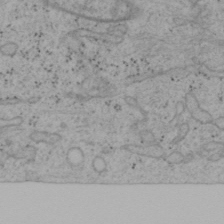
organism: Human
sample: HeLa cells